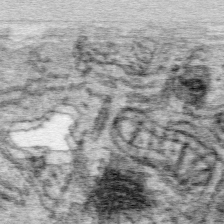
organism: Human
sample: HeLa cells